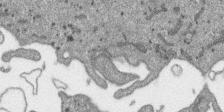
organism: Human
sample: Lung epithelial cells infected with SARS-CoV-2